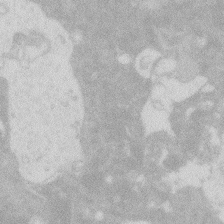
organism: Zebrafish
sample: Macrophage